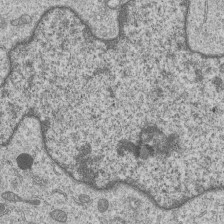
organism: Human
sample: MDA-MB-231 cells